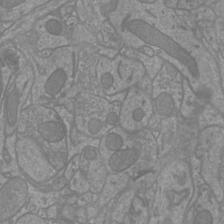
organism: Mouse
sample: Cortical neurons